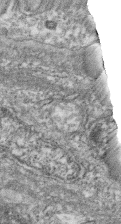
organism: Zebrafish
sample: Cilia; retinal pigment epithelium